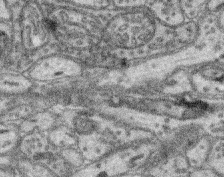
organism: Mouse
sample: Retina